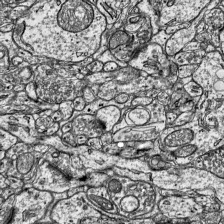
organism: Mouse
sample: Visual Cortex